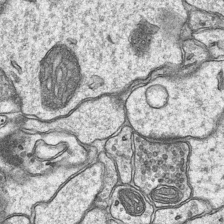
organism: Mouse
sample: CA1 Hippocampus